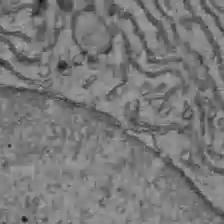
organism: C57BL Mouse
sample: Liver